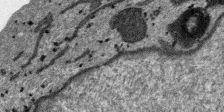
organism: Human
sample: Lung epithelial cells, uninfected (mock) control